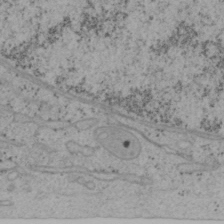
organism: Human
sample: HeLa cells